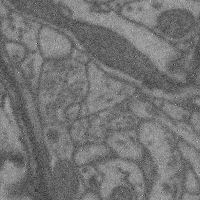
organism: Mouse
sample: Cerebral cortex